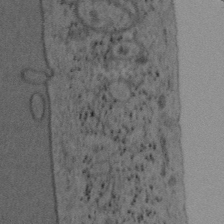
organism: Human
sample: HeLa cells